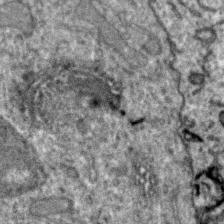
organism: Zebra finch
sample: Brain